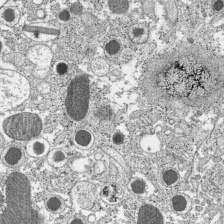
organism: C57BL Mouse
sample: Pancreatic islet